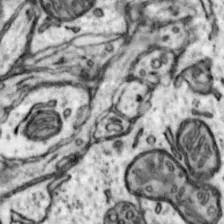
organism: Mouse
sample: Nucleus accumbens